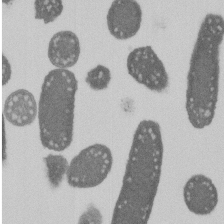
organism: E. coli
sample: Bacterial nucleoid